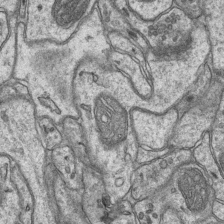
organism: Mouse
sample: CA1 Hippocampus